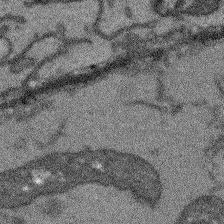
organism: Arabidopsis thaliana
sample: Root tip